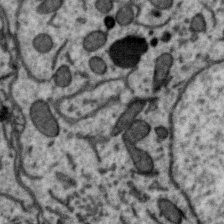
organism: Zebra finch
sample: Brain